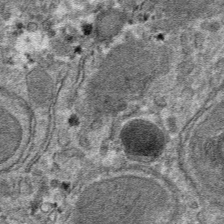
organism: Mouse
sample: Mouse hepatocytes